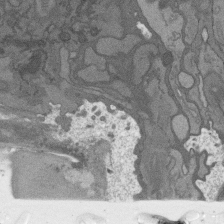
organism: C. elegans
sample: AFD neurons C. elegans